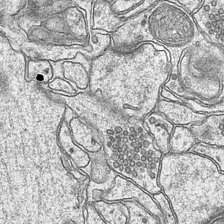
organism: Mouse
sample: CA1 Hippocampus